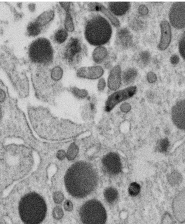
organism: C. elegans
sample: C. elegans oocyte; sperm cells